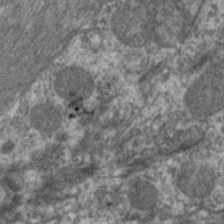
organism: C. elegans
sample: Pharynx